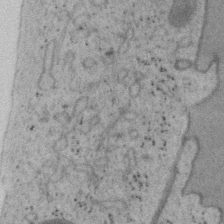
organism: Human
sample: HeLa cells